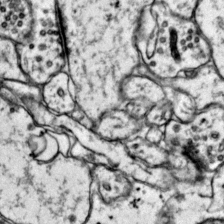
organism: Mouse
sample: Primary visual cortex